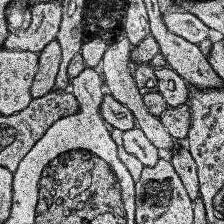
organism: Human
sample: Temporal Lobe